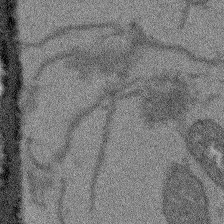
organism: Arabidopsis thaliana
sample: Root tip